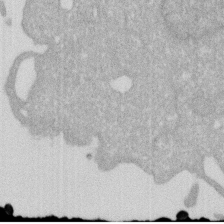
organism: Human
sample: HIV infected U937 cells